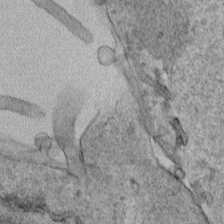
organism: Human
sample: Mitochondria in HCT116 cells